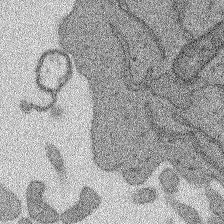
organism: Human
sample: HeLa cells